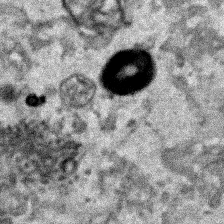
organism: Human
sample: Mitochondria in HCT116 cells